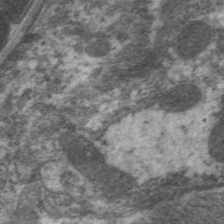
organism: C. elegans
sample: Pharynx